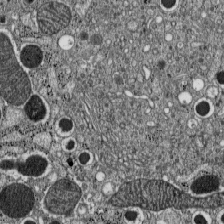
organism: C57BL Mouse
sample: Pancreatic islet